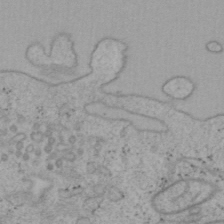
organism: Human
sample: HeLa cells